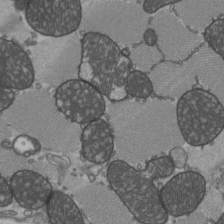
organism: C57BL Mouse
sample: Heart